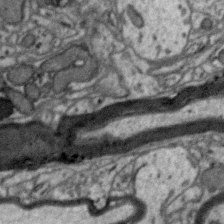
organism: Zebra finch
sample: Brain